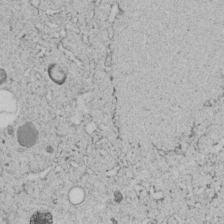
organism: C. elegans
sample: C. elegans embryo early stage